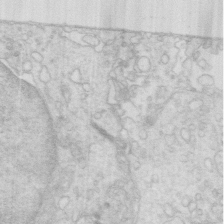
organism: Mouse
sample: Multiciliated cells